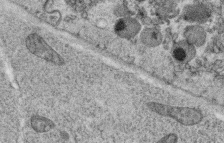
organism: C. elegans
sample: C. elegans oocyte; sperm cells